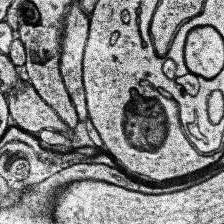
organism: Human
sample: Temporal Lobe